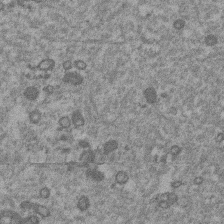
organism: Mouse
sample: Dividing mouse embryo 1 cell stage